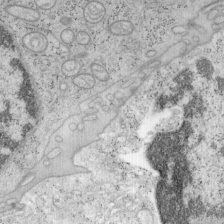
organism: Mouse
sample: OT-I killer T cells with ID8 ovarian cancer cells